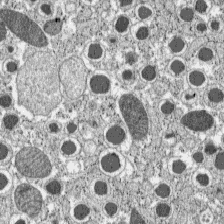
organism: C57BL Mouse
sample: Pancreatic islet